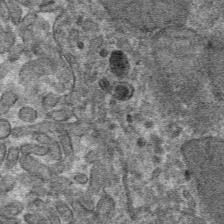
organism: Mouse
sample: Mouse hepatocytes